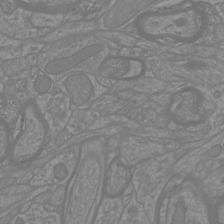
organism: Mouse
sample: Cortical neurons